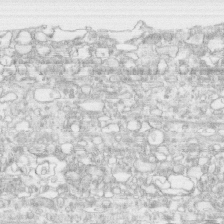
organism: Human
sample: CRL-1474